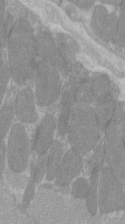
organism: C57BL Mouse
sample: Tibialis anterior muscle cell